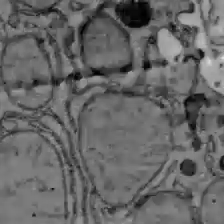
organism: C57BL Mouse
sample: Liver